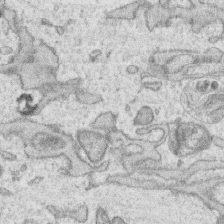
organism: Human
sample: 1205lu cells